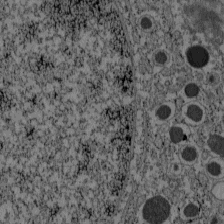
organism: C57BL Mouse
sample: Pancreatic islet